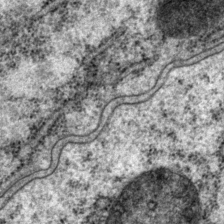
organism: P. pacificus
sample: Pharynx